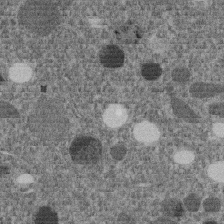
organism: C. elegans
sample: C. elegans embryo early stage